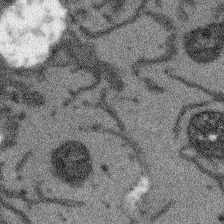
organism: Arabidopsis thaliana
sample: Root tip